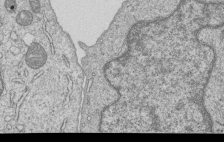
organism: Human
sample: MDA-MB-231 cells